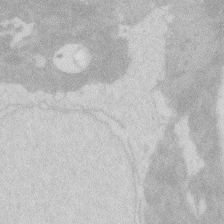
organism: Zebrafish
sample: Macrophage